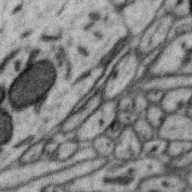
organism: Zebra finch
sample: Brain